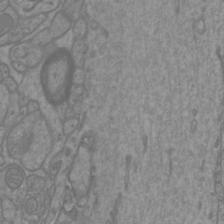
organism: Mouse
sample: Cortical neurons